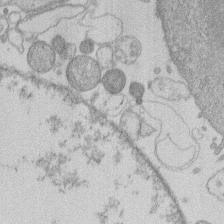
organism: Human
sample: Macrophage cells